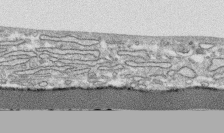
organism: Human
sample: CRL-1474